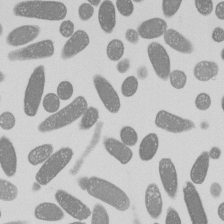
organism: E. coli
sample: Bacterial nucleoid